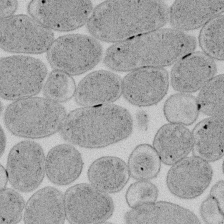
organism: E. coli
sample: Bacterial nucleoid